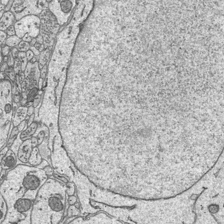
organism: Mouse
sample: Suprachiasmatic nucleus